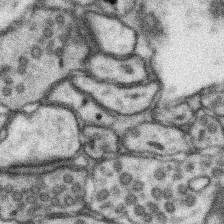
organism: Mouse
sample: Somatosensory cortex neuropil